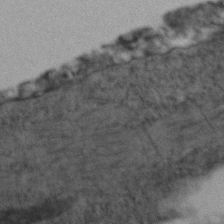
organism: Zebrafish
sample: Zebrafish embryo